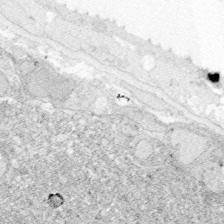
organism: Zebrafish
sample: Whole-Brain